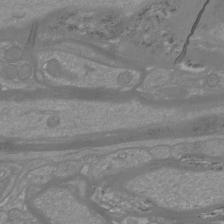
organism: Mouse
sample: Cortical neurons